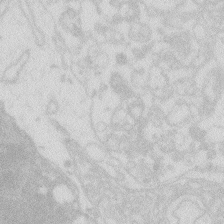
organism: Zebrafish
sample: Macrophage